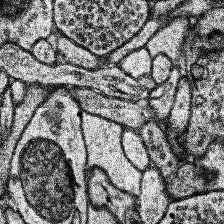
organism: Human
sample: Temporal Lobe